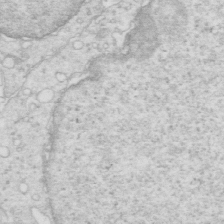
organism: Mouse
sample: Multiciliated cells